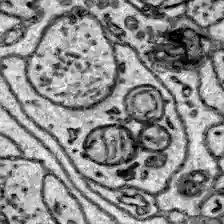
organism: Zebrafish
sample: Brain